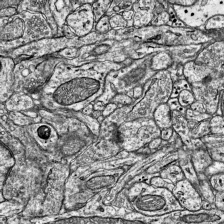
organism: Mouse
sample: Visual Cortex